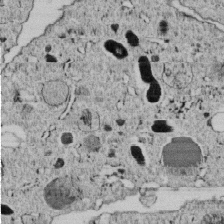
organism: C. elegans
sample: C. elegans embryo early stage